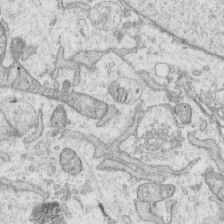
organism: Human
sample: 1205lu cells